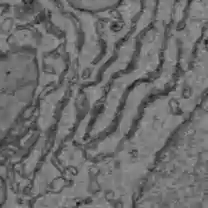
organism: C57BL Mouse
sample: Liver